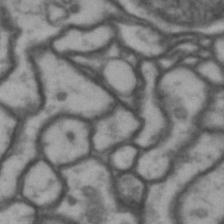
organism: Drosophila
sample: Brain